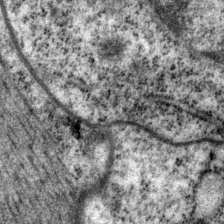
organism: P. pacificus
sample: Pharynx